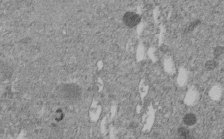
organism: C. elegans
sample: C. elegans embryo early stage